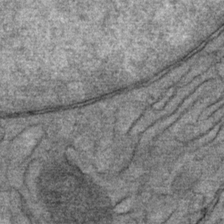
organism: Mouse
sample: Mouse Salivary gland